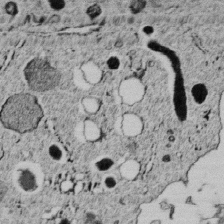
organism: C. elegans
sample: C. elegans embryo early stage